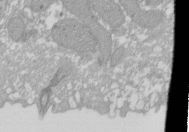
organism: Xenopus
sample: Cilia; centrioles in frog embryo cells